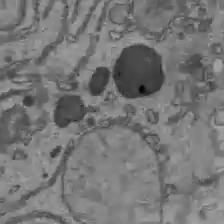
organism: C57BL Mouse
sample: Liver